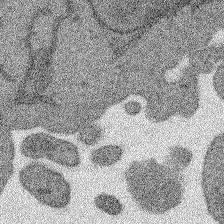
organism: Human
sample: HeLa cells